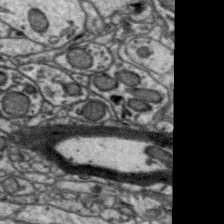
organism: Zebra finch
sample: Brain